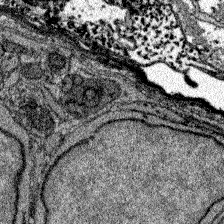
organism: Zebrafish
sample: Larval olfactory bulb